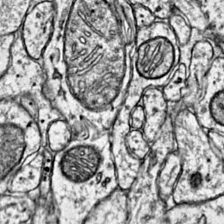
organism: Mouse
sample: Primary visual cortex